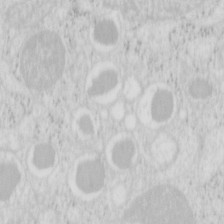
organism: Mouse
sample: Pancreas